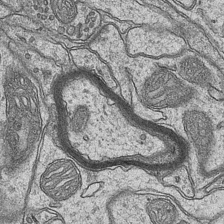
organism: Mouse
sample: CA1 Hippocampus